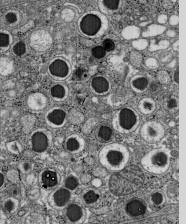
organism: C57BL Mouse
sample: Pancreatic islet